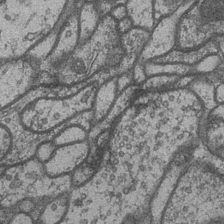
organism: Drosophila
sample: Optic medulla